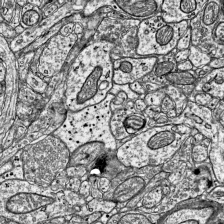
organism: Mouse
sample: Visual Cortex